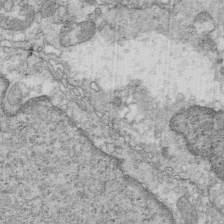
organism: Mouse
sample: Multiciliated cells